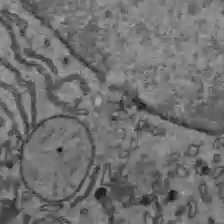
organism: C57BL Mouse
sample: Liver